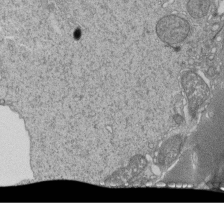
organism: Tetrahymena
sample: Cilia in tetrahymena